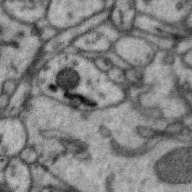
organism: Zebra finch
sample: Brain